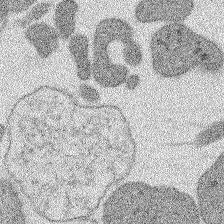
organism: Human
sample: HeLa cells